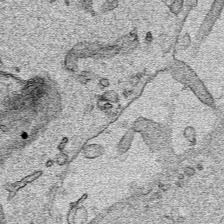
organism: Human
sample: Mitochondria in HCT116 cells